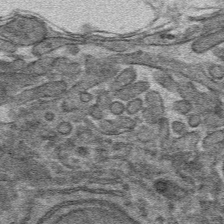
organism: Mouse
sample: Mouse hepatocytes